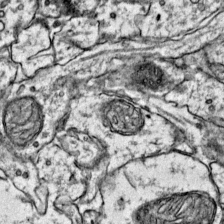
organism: Mouse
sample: Primary visual cortex